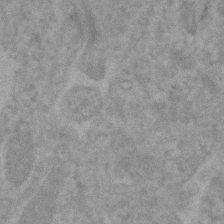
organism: Human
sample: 1205lu cells